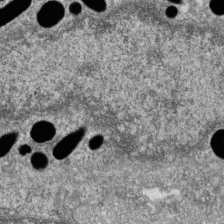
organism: Zebrafish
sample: Cilia; retinal pigment epithelium